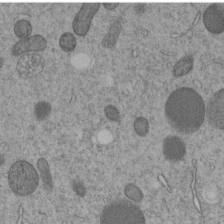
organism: C. elegans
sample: C. elegans embryo early stage